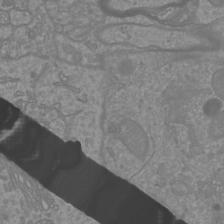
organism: Mouse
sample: Cortical neurons